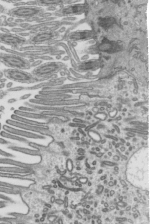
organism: Mouse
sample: Mouse epididymis efferent ductule cilia